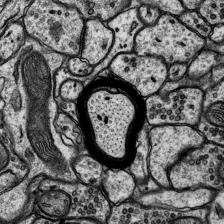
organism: Rat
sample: Hippocampus